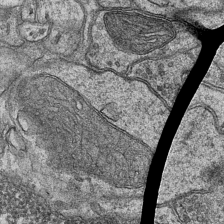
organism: Mouse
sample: CA1 Hippocampus